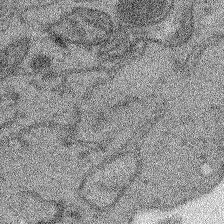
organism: Human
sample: HeLa cells